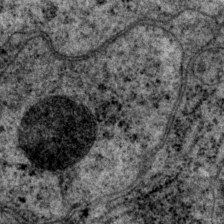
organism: P. pacificus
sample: Pharynx